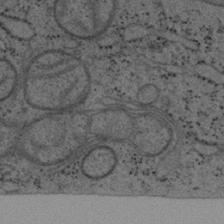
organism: Human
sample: HeLa cells